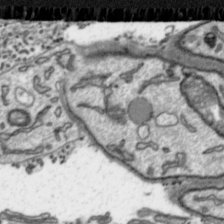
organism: Toxoplasma gondii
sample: Parasites in a vacuole inside a host cell